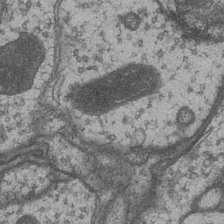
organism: Drosophila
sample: Optic medulla